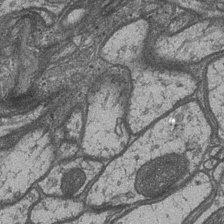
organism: Drosophila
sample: Optic medulla